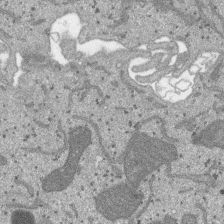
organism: Human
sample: Lung epithelial cells infected with SARS-CoV-2